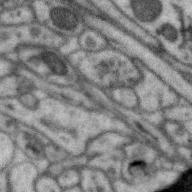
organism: Zebra finch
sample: Brain